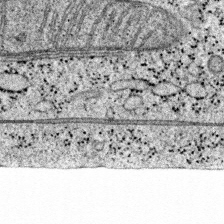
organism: Human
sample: HeLa cells